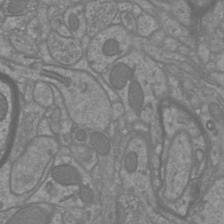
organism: Mouse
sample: Cortical neurons